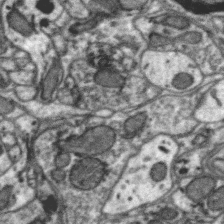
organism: Zebra finch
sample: Brain